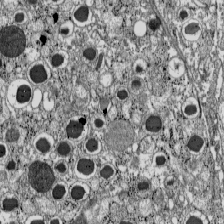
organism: C57BL Mouse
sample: Pancreatic islet